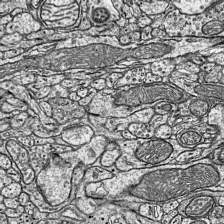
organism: Mouse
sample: Visual Cortex